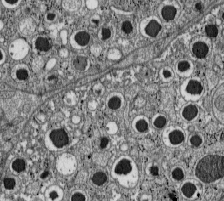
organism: C57BL Mouse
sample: Pancreatic islet